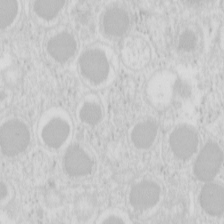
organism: Mouse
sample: Pancreas